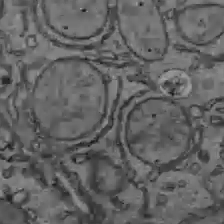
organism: C57BL Mouse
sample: Liver